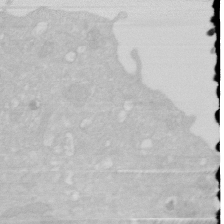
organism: Human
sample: HIV infected U937 cells